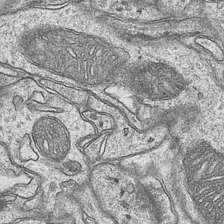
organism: Mouse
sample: CA1 Hippocampus